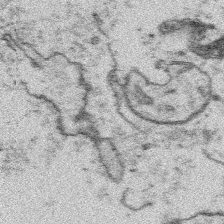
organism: Platynereis dumerilii